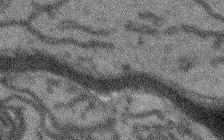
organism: Arabidopsis thaliana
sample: Root tip